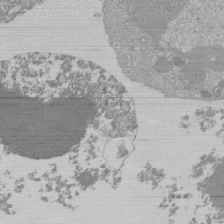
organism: Mouse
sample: Activated Pmel transgenic CD8+ T Cells